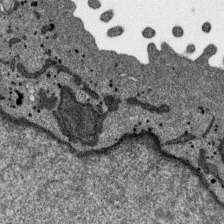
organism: Human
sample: Lung epithelial cells, uninfected (mock) control